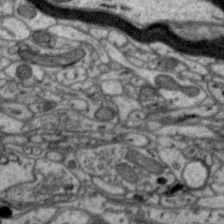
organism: Zebra finch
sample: Brain